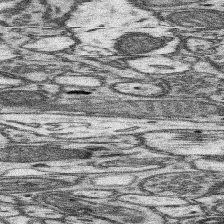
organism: Mouse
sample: Somatosensory cortex neuropil